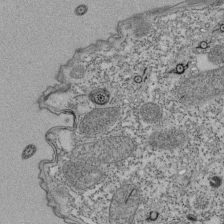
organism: Tetrahymena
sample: Cilia in tetrahymena